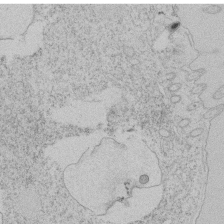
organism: Tetrahymena